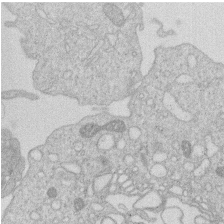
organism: Human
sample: Macrophage cells